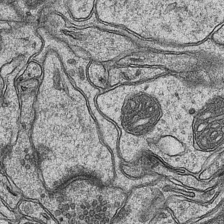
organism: Mouse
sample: CA1 Hippocampus